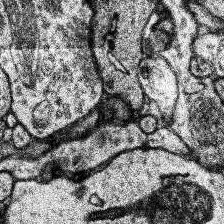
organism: Human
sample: Temporal Lobe